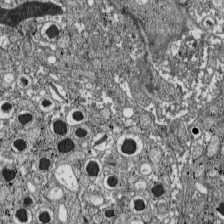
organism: C57BL Mouse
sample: Pancreatic islet